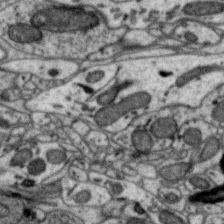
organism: Zebra finch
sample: Brain